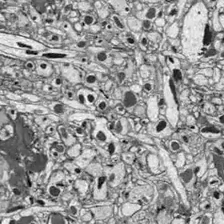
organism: Drosophila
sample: Optic lobe